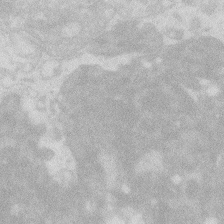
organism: Zebrafish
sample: Macrophage